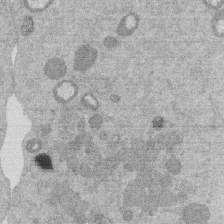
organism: Mouse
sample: Dividing mouse embryo 1 cell stage